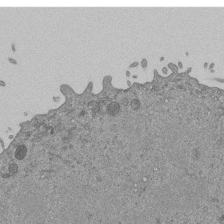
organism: Mouse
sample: ED-1 cell nuclei; centrioles